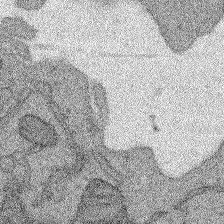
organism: Human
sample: HeLa cells